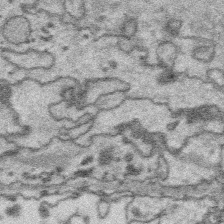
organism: Platynereis dumerilii